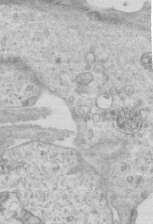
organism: Mouse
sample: Centriole in ependymal cells